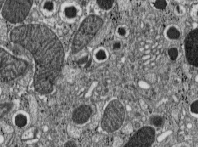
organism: C57BL Mouse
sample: Pancreatic islet